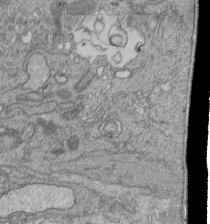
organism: Human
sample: Retinal organoid Rod and Cone cells